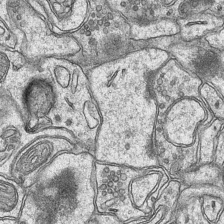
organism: Mouse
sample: CA1 Hippocampus